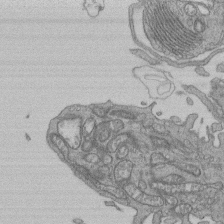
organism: Human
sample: Retinal organoid Rod and Cone cells